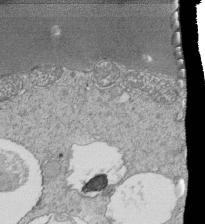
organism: Tetrahymena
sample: Cilia in tetrahymena